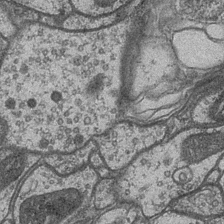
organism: Drosophila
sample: Optic medulla